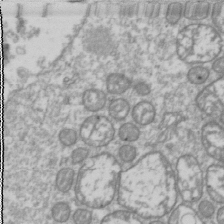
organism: Drosophila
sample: Cell division; meiosis; drosophila spermatocytes